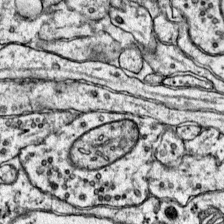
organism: Mouse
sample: Primary visual cortex